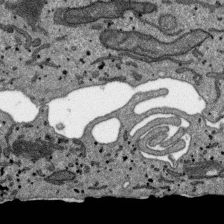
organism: Human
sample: Lung epithelial cells, uninfected (mock) control